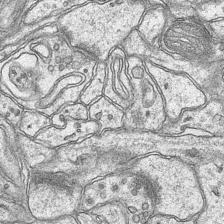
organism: Mouse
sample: CA1 Hippocampus